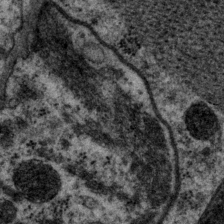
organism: P. pacificus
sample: Pharynx